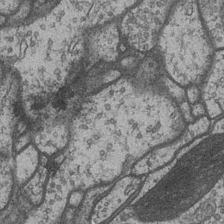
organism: Drosophila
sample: Optic medulla